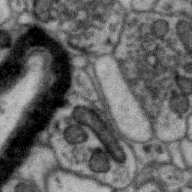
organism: Zebra finch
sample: Brain